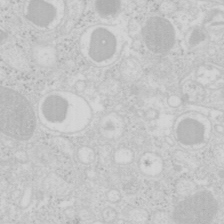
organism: Mouse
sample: Pancreas